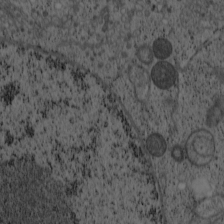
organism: African green monkey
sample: COS-7 cells